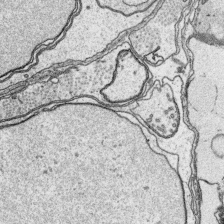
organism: Platynereis dumerilii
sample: Parapodia